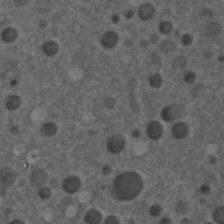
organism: C. elegans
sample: C. elegans embryo